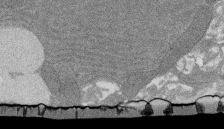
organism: Rat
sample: Salivary granule